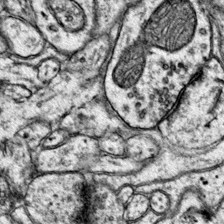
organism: Mouse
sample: Primary visual cortex